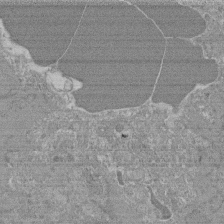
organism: Mouse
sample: Glomerulus